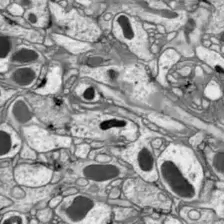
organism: Drosophila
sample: Optic lobe